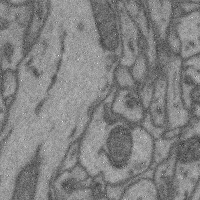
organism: Mouse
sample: Cerebral cortex